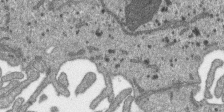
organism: Human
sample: Lung epithelial cells infected with SARS-CoV-2